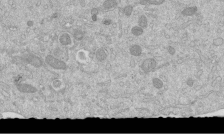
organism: Mouse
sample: ED-1 cell nuclei; centrioles